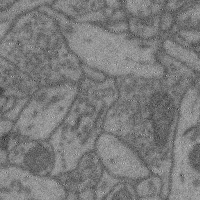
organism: Mouse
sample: Cerebral cortex